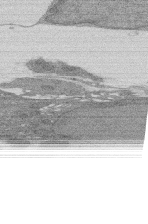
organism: Rat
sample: Salivary granule